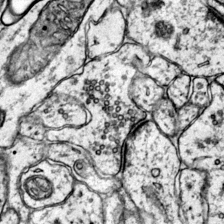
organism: Mouse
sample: Primary visual cortex